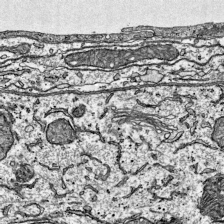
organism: Mouse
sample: Visual Cortex